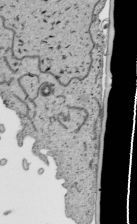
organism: Human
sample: Mitochondria in HCT116 cells